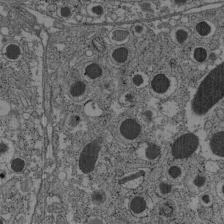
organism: C57BL Mouse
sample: Pancreatic islet